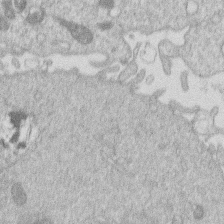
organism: Human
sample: Macrophage cells